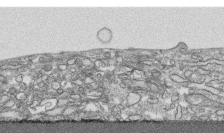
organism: Human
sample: CRL-1474